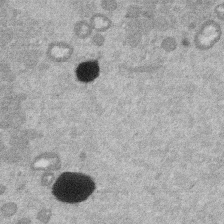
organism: Mouse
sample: Dividing mouse embryo 1 cell stage